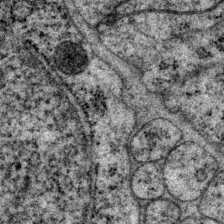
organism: P. pacificus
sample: Pharynx